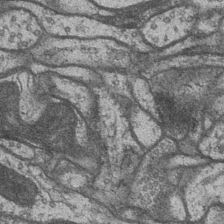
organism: Drosophila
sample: Optic medulla